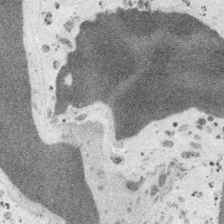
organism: Embia sp.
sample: Silk gland